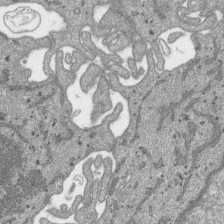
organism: Human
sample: Lung epithelial cells infected with SARS-CoV-2